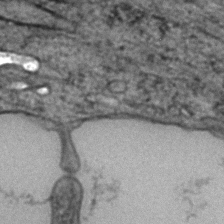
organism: Zebrafish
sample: Zebrafish embryo